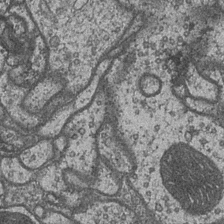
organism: Drosophila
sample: Optic medulla